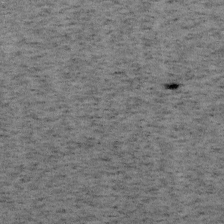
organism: Mouse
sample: OT-I killer T cells with ID8 ovarian cancer cells